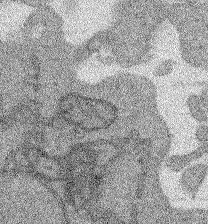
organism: Human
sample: HeLa cells